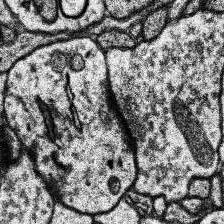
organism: Human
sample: Temporal Lobe